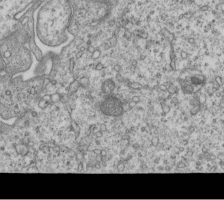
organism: Human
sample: MDA-MB-231 cells